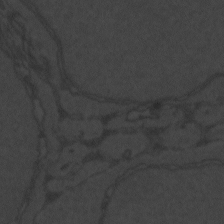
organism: Zebrafish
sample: Macrophage infected with Toxoplasma gondii